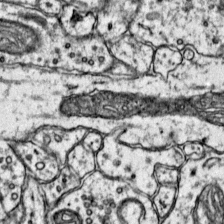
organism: Mouse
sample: Primary visual cortex